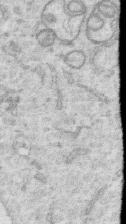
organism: Human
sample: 1205lu cells